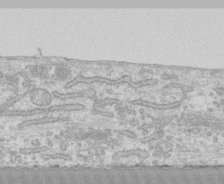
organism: Human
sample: CRL-1474